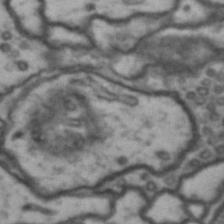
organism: Drosophila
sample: Brain